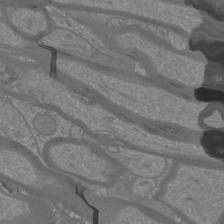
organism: Mouse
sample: Cortical neurons